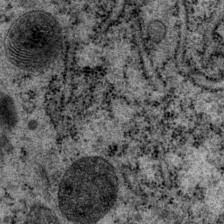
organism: P. pacificus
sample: Pharynx